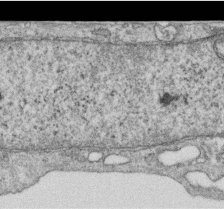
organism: Human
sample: Centriole in RPE cells